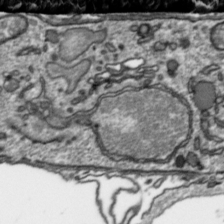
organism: Toxoplasma gondii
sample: Parasites in a vacuole inside a host cell